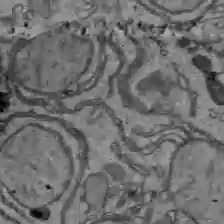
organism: C57BL Mouse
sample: Liver